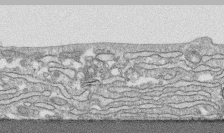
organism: Human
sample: CRL-1474